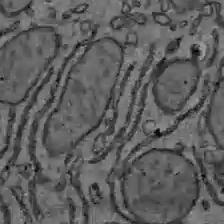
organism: C57BL Mouse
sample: Liver